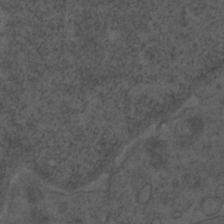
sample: Trachea